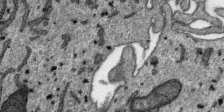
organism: Human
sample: Lung epithelial cells, uninfected (mock) control